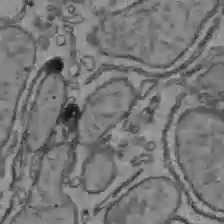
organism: C57BL Mouse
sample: Liver